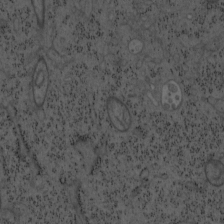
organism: Mouse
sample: OT-I killer T cells with ID8 ovarian cancer cells